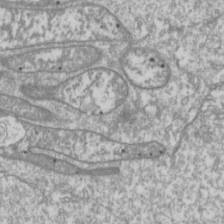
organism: Drosophila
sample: Cell division; meiosis; drosophila spermatocytes